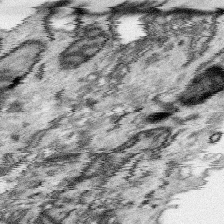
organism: Human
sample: HeLa cells